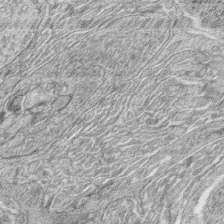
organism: Zebrafish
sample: synaptic ribbons in rod cells and cone cells